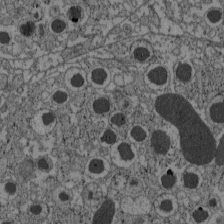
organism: C57BL Mouse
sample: Pancreatic islet